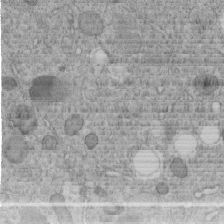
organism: C. elegans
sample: C. elegans embryo early stage